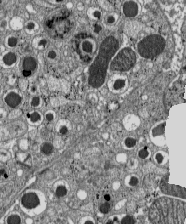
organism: C57BL Mouse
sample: Pancreatic islet